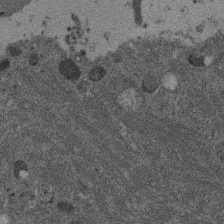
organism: Mouse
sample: Dividing mouse embryo 1 cell stage